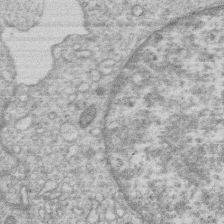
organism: Human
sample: Macrophage cells